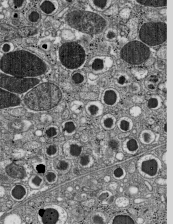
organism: C57BL Mouse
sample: Pancreatic islet